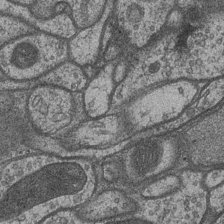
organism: Drosophila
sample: Optic medulla